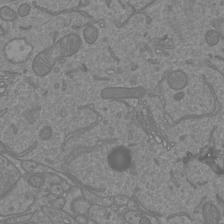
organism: Mouse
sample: Cortical neurons